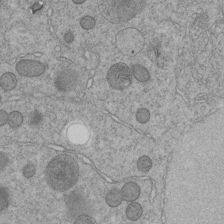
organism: C. elegans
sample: C. elegans embryo early stage